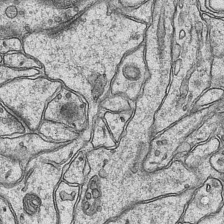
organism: Mouse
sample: CA1 Hippocampus